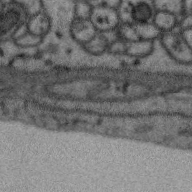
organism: Zebra finch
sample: Brain